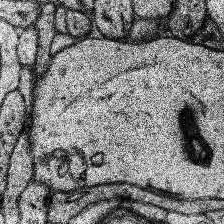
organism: Human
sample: Temporal Lobe